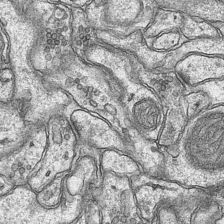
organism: Mouse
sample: CA1 Hippocampus